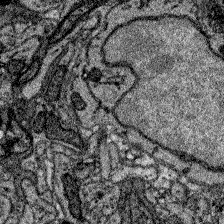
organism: Zebrafish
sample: Larval olfactory bulb